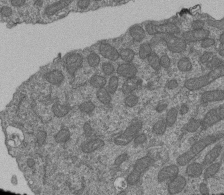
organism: Human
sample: Retinal organoid Rod and Cone cells